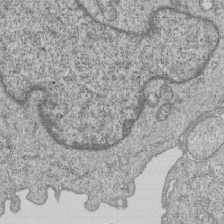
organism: Human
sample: MDA-MB-231 cells